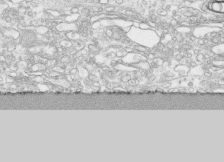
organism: Human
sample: CRL-1474